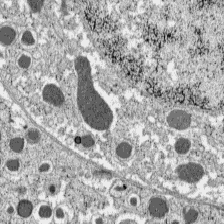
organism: C57BL Mouse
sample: Pancreatic islet